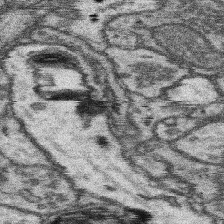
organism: Mouse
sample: Somatosensory cortex neuropil